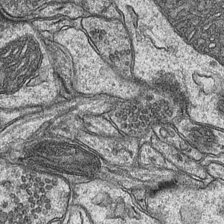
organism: Mouse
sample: CA1 Hippocampus